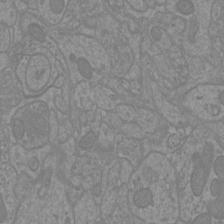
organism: Mouse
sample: Cortical neurons